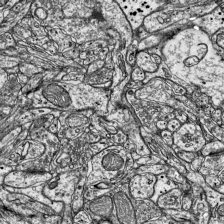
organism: Mouse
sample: Visual Cortex